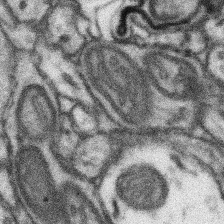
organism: Mouse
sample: Somatosensory cortex neuropil